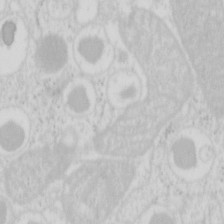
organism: Mouse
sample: Pancreas